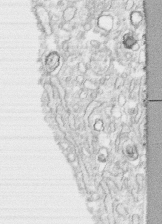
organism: Human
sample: CRL-1474